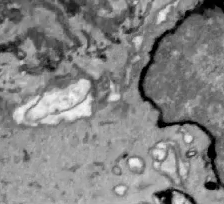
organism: Zebrafish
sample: Actinotrichia fibers